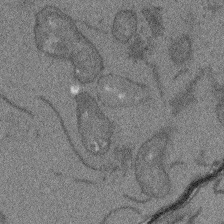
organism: Arabidopsis thaliana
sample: Root tip